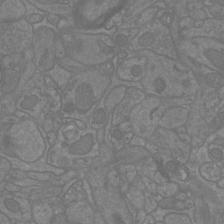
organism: Mouse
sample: Cortical neurons